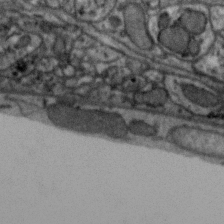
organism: Zebra finch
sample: Brain